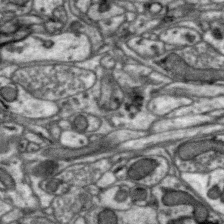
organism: Zebra finch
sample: Brain